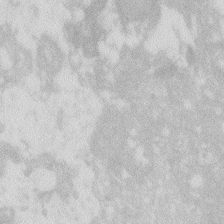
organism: Zebrafish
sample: Macrophage